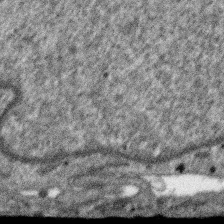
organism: Human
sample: Lung epithelial cells infected with SARS-CoV-2